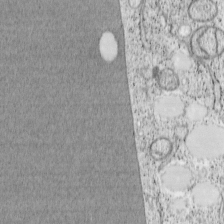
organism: African green monkey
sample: COS-7 cells